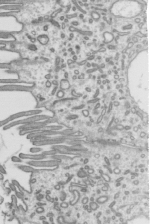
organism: Mouse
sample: Mouse epididymis efferent ductule cilia